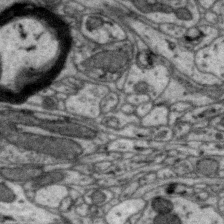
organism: Zebra finch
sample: Brain